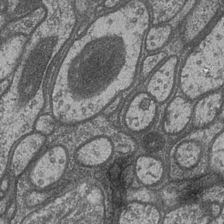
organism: Drosophila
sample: Optic medulla